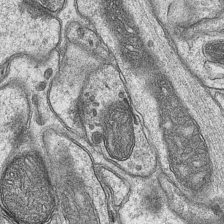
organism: Mouse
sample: CA1 Hippocampus